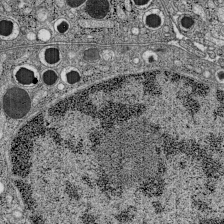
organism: C57BL Mouse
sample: Pancreatic islet